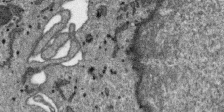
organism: Human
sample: Lung epithelial cells, uninfected (mock) control